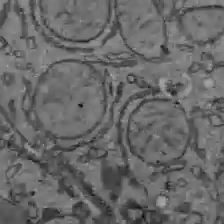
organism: C57BL Mouse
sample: Liver